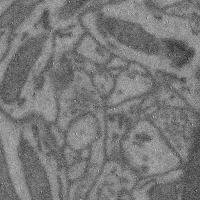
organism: Mouse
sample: Cerebral cortex